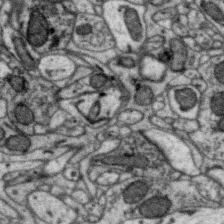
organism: Zebra finch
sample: Brain